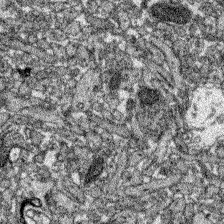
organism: Zebrafish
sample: Larval olfactory bulb